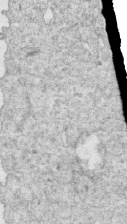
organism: Human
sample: HeLa cell HIV synapse